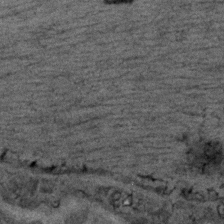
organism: C. elegans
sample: C. elegans embryo